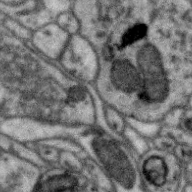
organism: Zebra finch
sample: Brain